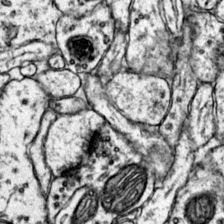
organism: Mouse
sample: Primary visual cortex